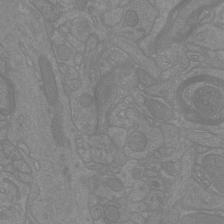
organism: Mouse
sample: Cortical neurons